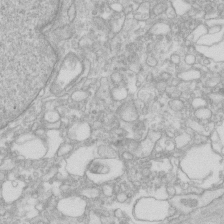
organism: Human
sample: Fibroblast cells